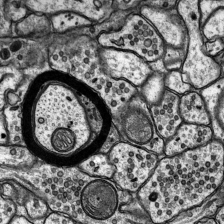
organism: Rat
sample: Hippocampus